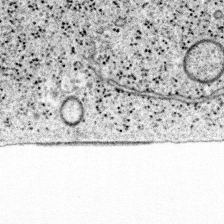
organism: Human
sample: HeLa cells